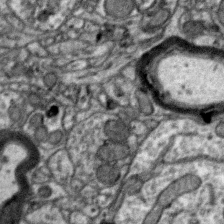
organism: Zebra finch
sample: Brain